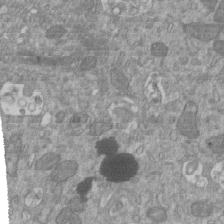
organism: Mouse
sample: ED-1 cell nuclei; centrioles